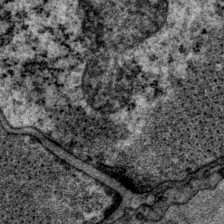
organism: P. pacificus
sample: Pharynx